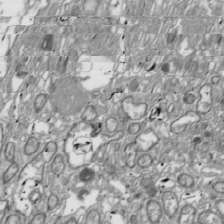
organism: Drosophila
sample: Cell division; meiosis; drosophila spermatocytes